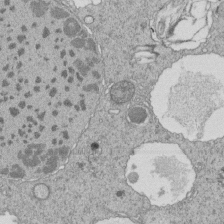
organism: Tetrahymena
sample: Cilia in tetrahymena